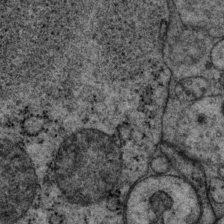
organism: P. pacificus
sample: Pharynx